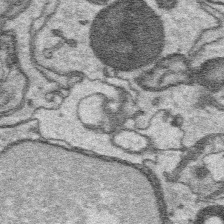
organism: Platynereis dumerilii